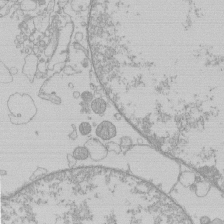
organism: Human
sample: Macrophage cells